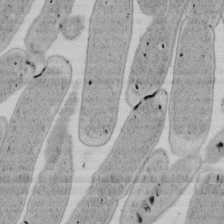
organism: E. coli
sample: Bacterial nucleoid